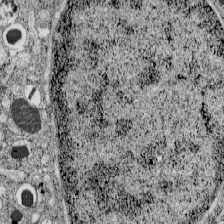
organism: C57BL Mouse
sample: Pancreatic islet